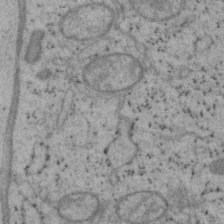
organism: Human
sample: HeLa cells